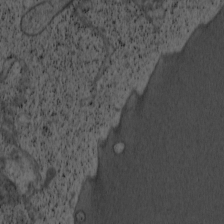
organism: African green monkey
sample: COS-7 cells